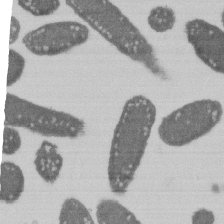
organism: E. coli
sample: Bacterial nucleoid